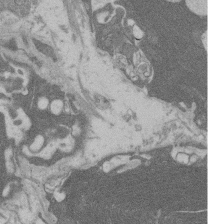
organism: Rat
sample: Salivary granule